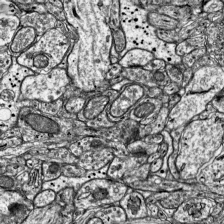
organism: Mouse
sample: Visual Cortex